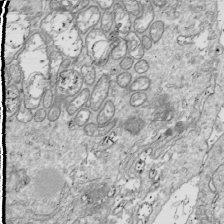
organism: Drosophila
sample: Cell division; meiosis; drosophila spermatocytes